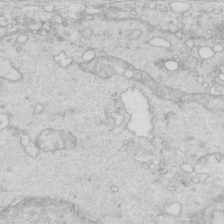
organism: Mouse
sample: Multiciliated cells